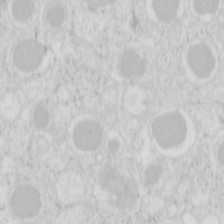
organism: Mouse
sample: Pancreas